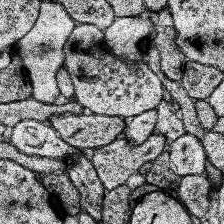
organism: Human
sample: Temporal Lobe